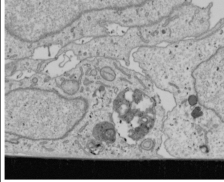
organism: Human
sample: Mitochondria in U2OS cells